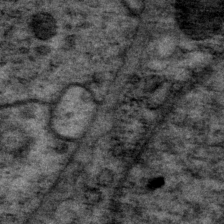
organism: P. pacificus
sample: Pharynx